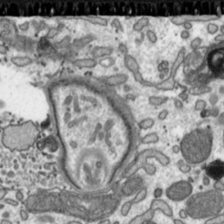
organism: Toxoplasma gondii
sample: Parasites in a vacuole inside a host cell